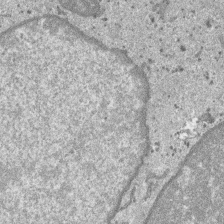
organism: Human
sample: Lung epithelial cells infected with SARS-CoV-2